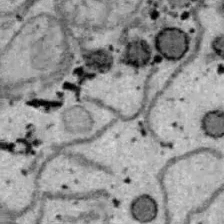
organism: Mouse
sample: Liver from an obese (ob/ob) mouse